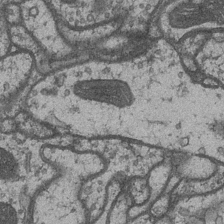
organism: Drosophila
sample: Optic medulla